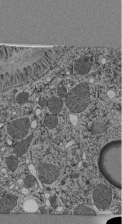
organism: C. elegans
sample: C. elegans pharynx